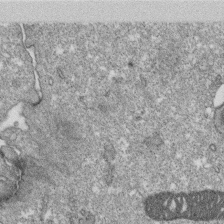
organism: African green monkey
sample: Vero E6 cells infected with SARS-CoV-2